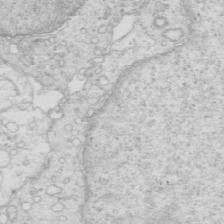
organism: Mouse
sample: Multiciliated cells